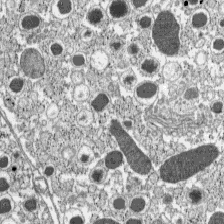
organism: C57BL Mouse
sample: Pancreatic islet